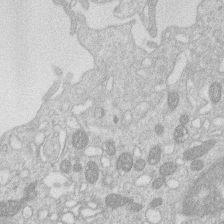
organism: Human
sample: Macrophage cells